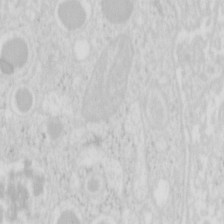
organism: Mouse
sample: Pancreas